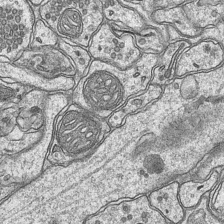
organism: Mouse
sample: CA1 Hippocampus